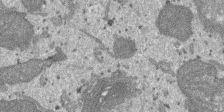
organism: Human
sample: Lung epithelial cells infected with SARS-CoV-2